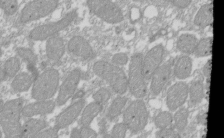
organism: Xenopus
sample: Cilia; centrioles in frog embryo cells